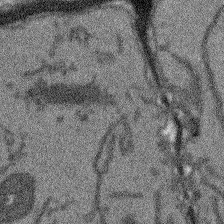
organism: Arabidopsis thaliana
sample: Root tip